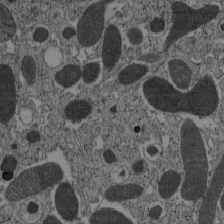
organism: C57BL Mouse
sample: Pancreatic islet